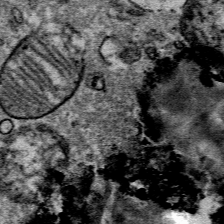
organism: Mouse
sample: Mouse Salivary gland